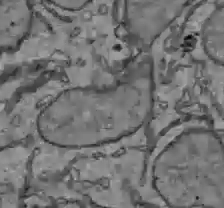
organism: C57BL Mouse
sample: Liver